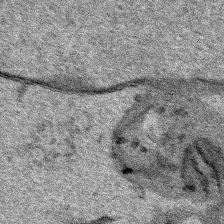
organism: Human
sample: Mitochondria in HCT116 cells